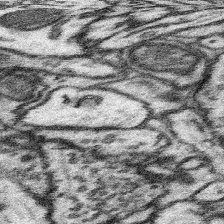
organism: Mouse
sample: Somatosensory cortex neuropil